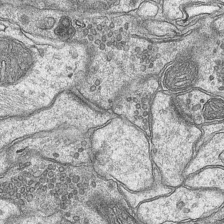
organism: Mouse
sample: CA1 Hippocampus